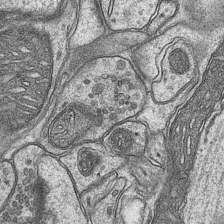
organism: Mouse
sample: CA1 Hippocampus